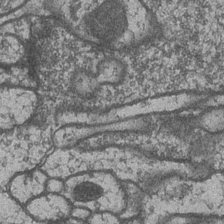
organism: Drosophila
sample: Optic medulla